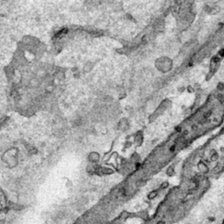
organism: Human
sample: Mitochondria in HCT116 cells